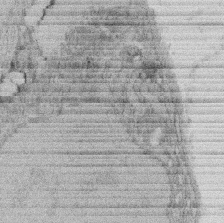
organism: Rat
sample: Salivary granule